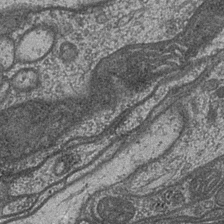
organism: Drosophila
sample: Optic medulla